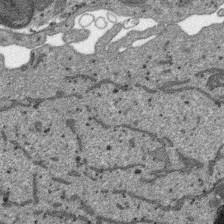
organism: Human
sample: Lung epithelial cells infected with SARS-CoV-2